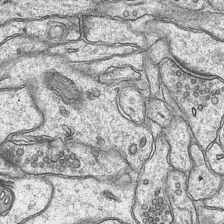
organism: Mouse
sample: CA1 Hippocampus